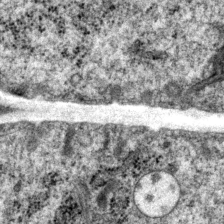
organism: P. pacificus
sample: Pharynx